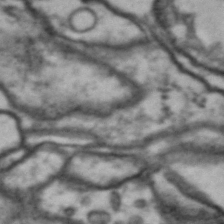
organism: Drosophila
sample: Brain